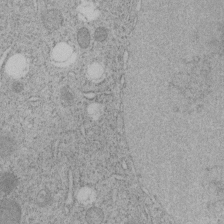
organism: C. elegans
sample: C. elegans embryo early stage